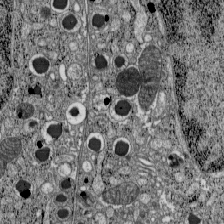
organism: C57BL Mouse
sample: Pancreatic islet